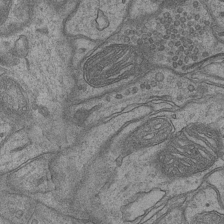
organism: Mouse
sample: CA1 Hippocampus